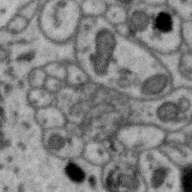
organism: Zebra finch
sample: Brain